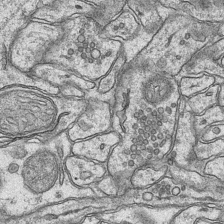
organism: Mouse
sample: CA1 Hippocampus